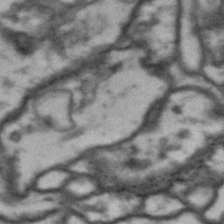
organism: Drosophila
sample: Brain